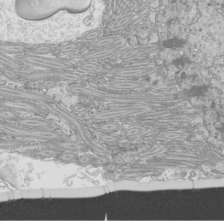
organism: Mouse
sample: Cilia; mouse epididymis